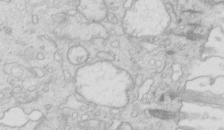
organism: Mouse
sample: Multiciliated cells